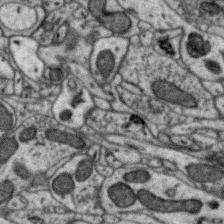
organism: Zebra finch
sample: Brain